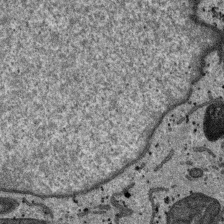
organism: Human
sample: Lung epithelial cells, uninfected (mock) control